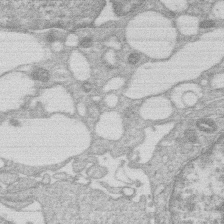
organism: Human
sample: Macrophage cells